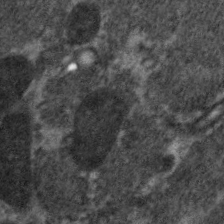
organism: C. elegans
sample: Pharynx